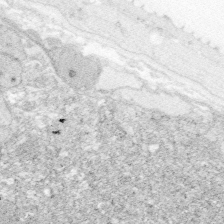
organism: Zebrafish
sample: Whole-Brain